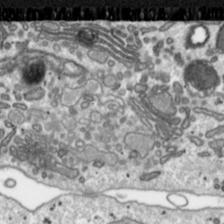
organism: Toxoplasma gondii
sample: Parasites in a vacuole inside a host cell